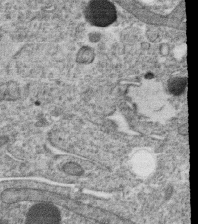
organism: C. elegans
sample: C. elegans oocyte; sperm cells